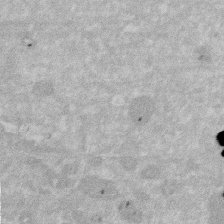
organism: Human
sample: HIV infected U937 cells